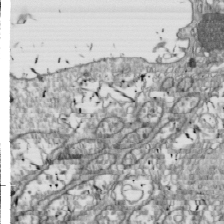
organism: Drosophila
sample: Cell division; meiosis; drosophila spermatocytes